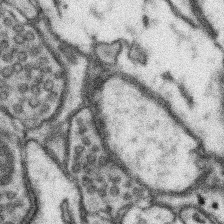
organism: Mouse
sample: Somatosensory cortex neuropil